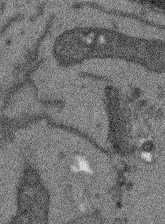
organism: Arabidopsis thaliana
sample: Root tip